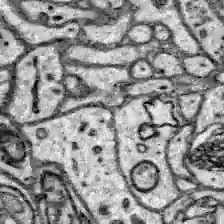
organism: Zebrafish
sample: Brain